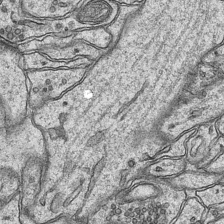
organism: Mouse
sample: CA1 Hippocampus